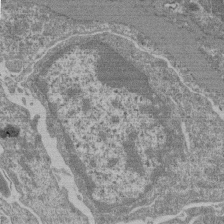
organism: Mouse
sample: Glomerulus